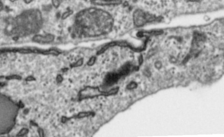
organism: Toxoplasma gondii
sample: Parasites in a vacuole inside a host cell